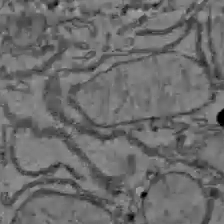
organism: C57BL Mouse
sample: Liver